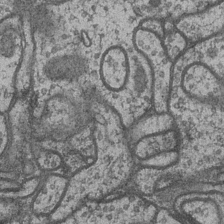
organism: Drosophila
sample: Optic medulla